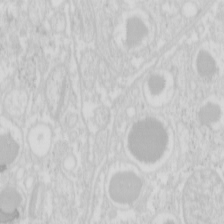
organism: Mouse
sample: Pancreas